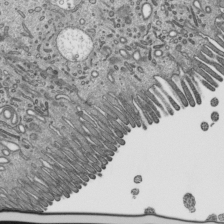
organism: Mouse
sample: Mouse epididymis efferent ductule cilia